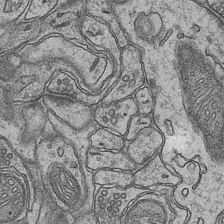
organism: Mouse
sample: CA1 Hippocampus